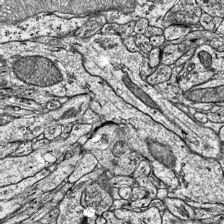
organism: Mouse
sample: Visual Cortex